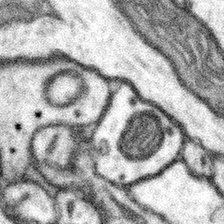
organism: Mouse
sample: Somatosensory cortex neuropil